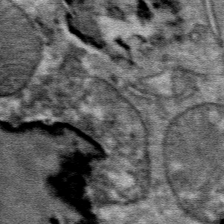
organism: Mouse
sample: Mouse Salivary gland